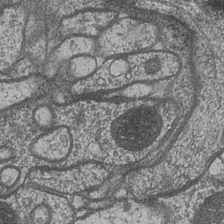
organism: Drosophila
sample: Optic medulla